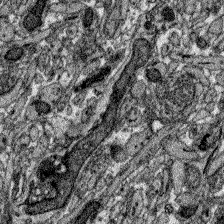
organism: Zebrafish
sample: Larval olfactory bulb